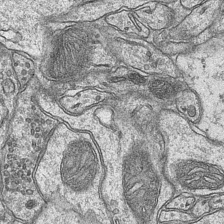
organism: Mouse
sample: CA1 Hippocampus